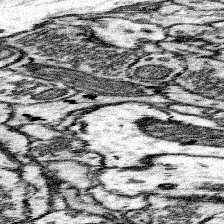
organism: Mouse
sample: Somatosensory cortex neuropil